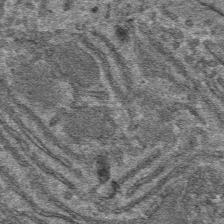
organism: Mouse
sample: Mouse hepatocytes